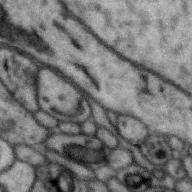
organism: Zebra finch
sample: Brain